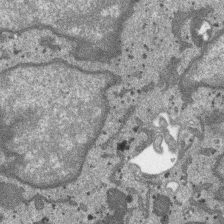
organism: Human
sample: Lung epithelial cells infected with SARS-CoV-2